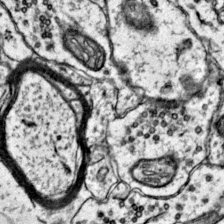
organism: Mouse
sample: Primary visual cortex